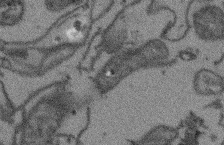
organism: Arabidopsis thaliana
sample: Root tip